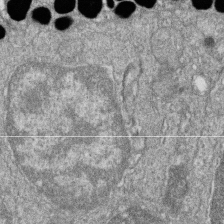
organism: Zebrafish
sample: Cilia; retinal pigment epithelium